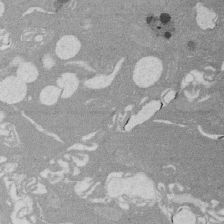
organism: Rat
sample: Salivary granule